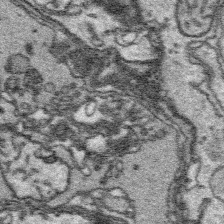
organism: Platynereis dumerilii